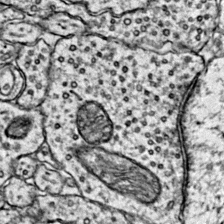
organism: Mouse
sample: Primary visual cortex